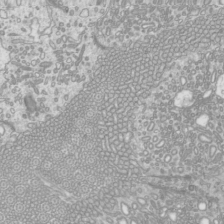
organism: Mouse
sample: Cilia; mouse epididymis